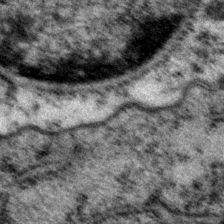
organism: P. pacificus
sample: Pharynx